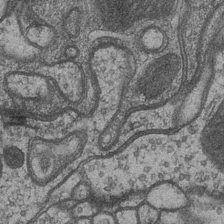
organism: Drosophila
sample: Optic medulla